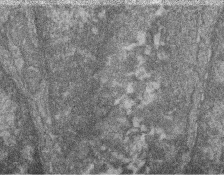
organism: Zebrafish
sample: Cilia; retinal pigment epithelium